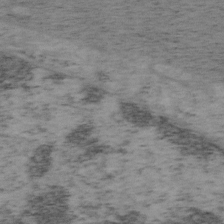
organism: Mouse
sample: OT-I killer T cells with ID8 ovarian cancer cells